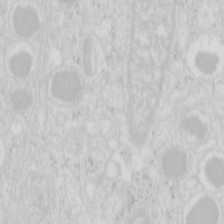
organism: Mouse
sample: Pancreas